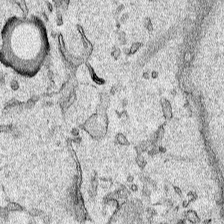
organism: Human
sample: Mitochondria in HCT116 cells